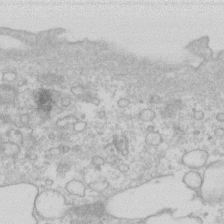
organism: Human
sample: Fibroblast cells